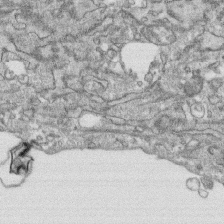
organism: Human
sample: CRL-1474